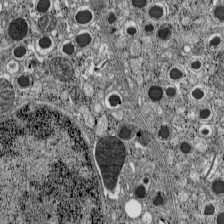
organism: C57BL Mouse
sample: Pancreatic islet